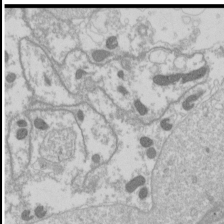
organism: Drosophila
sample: Cell division; meiosis; drosophila spermatocytes